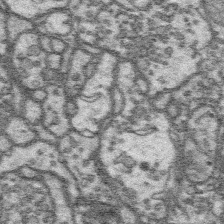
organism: Platynereis dumerilii